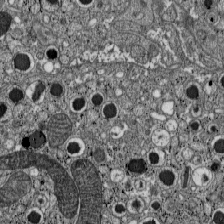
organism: C57BL Mouse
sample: Pancreatic islet